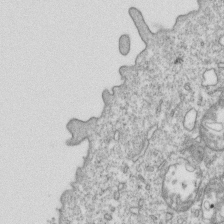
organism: Mouse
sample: Activated OT-1 CD8+ T cells